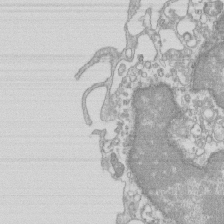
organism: Mouse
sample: Macrophages